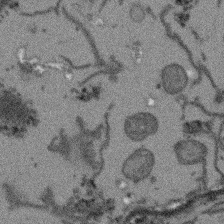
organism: Arabidopsis thaliana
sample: Root tip